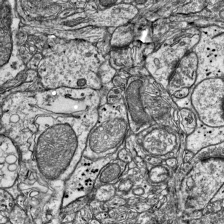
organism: Mouse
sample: Visual Cortex